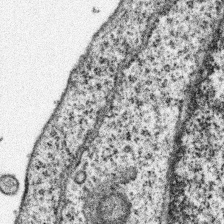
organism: Human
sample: HeLa cells